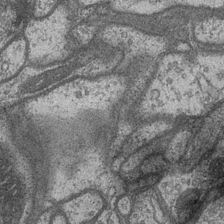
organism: Drosophila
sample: Optic medulla